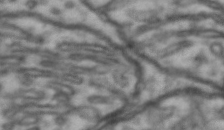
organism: Drosophila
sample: Brain